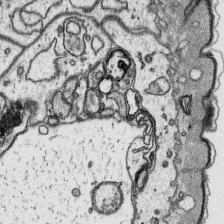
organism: Platynereis dumerilii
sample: Parapodia